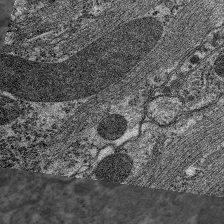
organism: C. elegans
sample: Pharynx